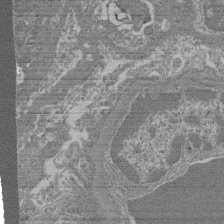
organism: Mouse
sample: Glomerulus